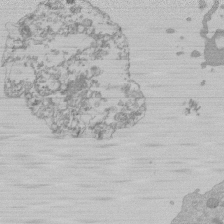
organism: Mouse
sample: Activated Pmel transgenic CD8+ T Cells